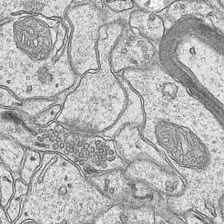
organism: Mouse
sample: CA1 Hippocampus